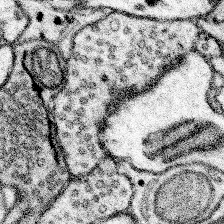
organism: Mouse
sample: Somatosensory cortex neuropil